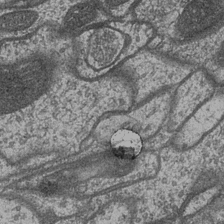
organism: Drosophila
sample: Optic medulla